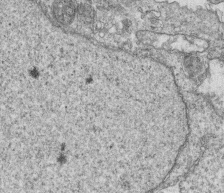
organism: Human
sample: HeLa cell HIV synapse